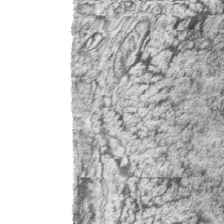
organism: Zebrafish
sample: synaptic ribbons in rod cells and cone cells